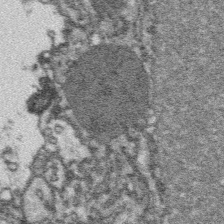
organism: Platynereis dumerilii